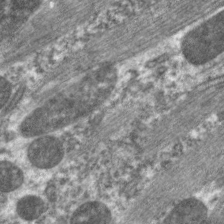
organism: C. elegans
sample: Pharynx